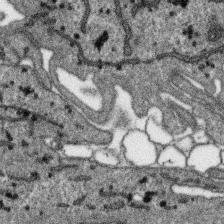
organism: Human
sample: Lung epithelial cells infected with SARS-CoV-2